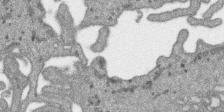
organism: Human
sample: Lung epithelial cells infected with SARS-CoV-2